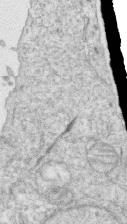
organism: Human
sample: HeLa cell HIV synapse